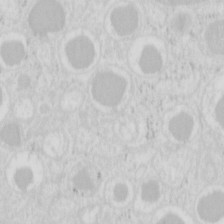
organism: Mouse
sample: Pancreas